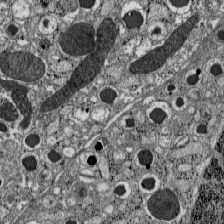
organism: C57BL Mouse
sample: Pancreatic islet